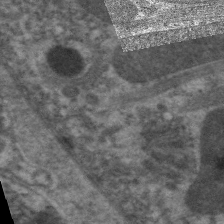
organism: C. elegans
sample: Pharynx